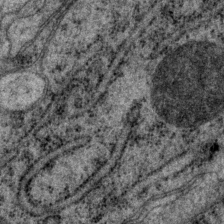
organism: P. pacificus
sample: Pharynx